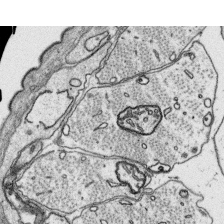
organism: Platynereis dumerilii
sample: Parapodia